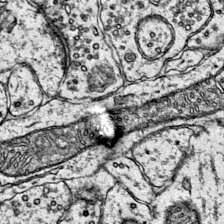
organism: Mouse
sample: Primary visual cortex